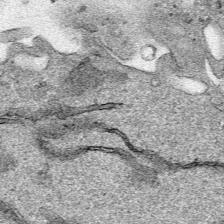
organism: Human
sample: Mitochondria in HCT116 cells